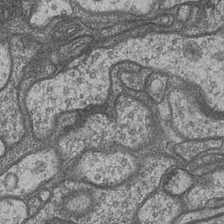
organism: Drosophila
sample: Optic medulla